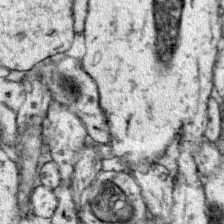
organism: Mouse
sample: Primary visual cortex